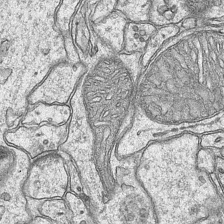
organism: Mouse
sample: CA1 Hippocampus